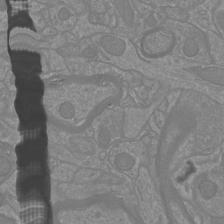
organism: Mouse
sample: Cortical neurons